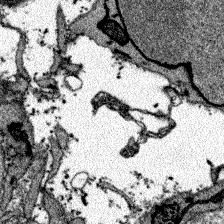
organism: Zebrafish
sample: Larval olfactory bulb